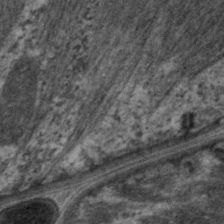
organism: C. elegans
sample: Pharynx